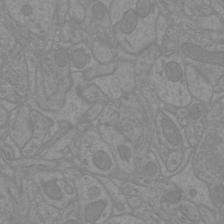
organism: Mouse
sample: Cortical neurons